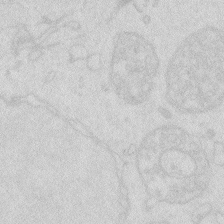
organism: Zebrafish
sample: Macrophage